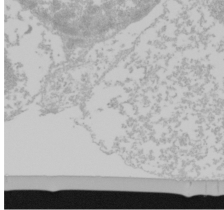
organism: Mouse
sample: Cancer cell death in ED-1 cells